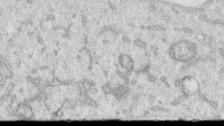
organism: Human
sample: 1205lu cells